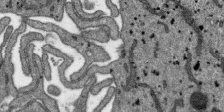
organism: Human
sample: Lung epithelial cells, uninfected (mock) control